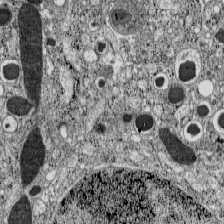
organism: C57BL Mouse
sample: Pancreatic islet